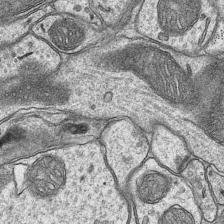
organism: Mouse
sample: CA1 Hippocampus